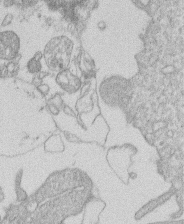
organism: Human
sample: Macrophage cells